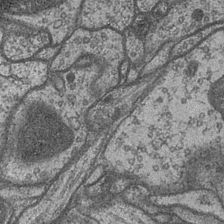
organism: Drosophila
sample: Optic medulla